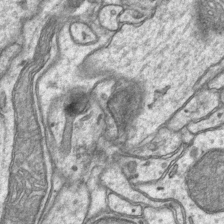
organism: Mouse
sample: CA1 Hippocampus